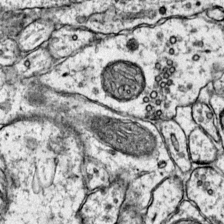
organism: Mouse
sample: Primary visual cortex